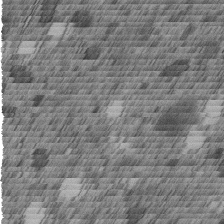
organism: C. elegans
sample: C. elegans embryo early stage